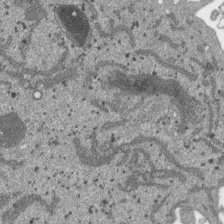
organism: Human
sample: Lung epithelial cells infected with SARS-CoV-2